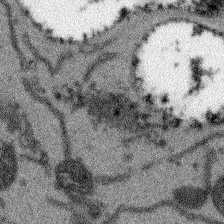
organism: Arabidopsis thaliana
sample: Root tip